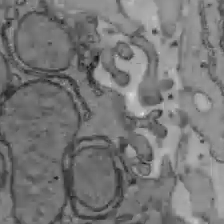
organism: C57BL Mouse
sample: Liver